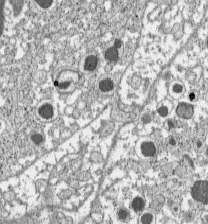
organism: C57BL Mouse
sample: Pancreatic islet